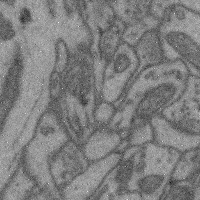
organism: Mouse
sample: Cerebral cortex